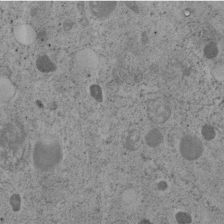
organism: C. elegans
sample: C. elegans embryo early stage